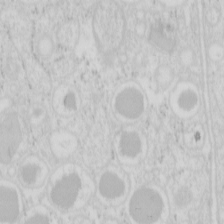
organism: Mouse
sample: Pancreas